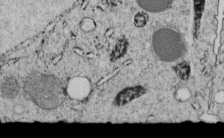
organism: C. elegans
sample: C. elegans embryo early stage